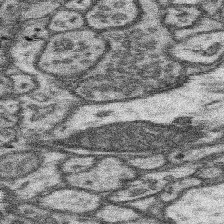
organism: Mouse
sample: Somatosensory cortex neuropil